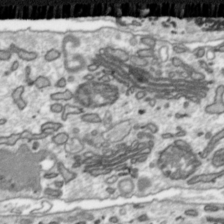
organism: Toxoplasma gondii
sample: Parasites in a vacuole inside a host cell